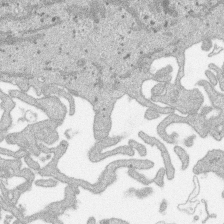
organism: Human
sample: Lung epithelial cells infected with SARS-CoV-2